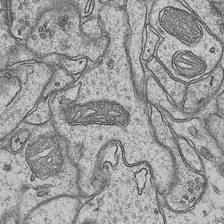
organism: Mouse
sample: CA1 Hippocampus